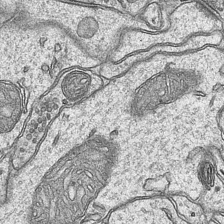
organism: Mouse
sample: CA1 Hippocampus